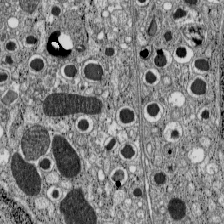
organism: C57BL Mouse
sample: Pancreatic islet